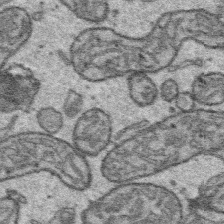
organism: Platynereis dumerilii